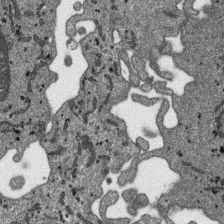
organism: Human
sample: Lung epithelial cells infected with SARS-CoV-2